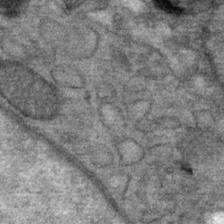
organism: Mouse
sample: Mouse Salivary gland